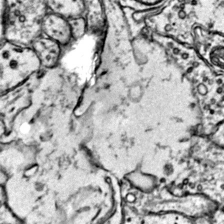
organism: Mouse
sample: Primary visual cortex